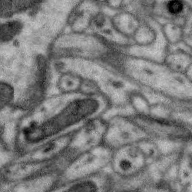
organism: Zebra finch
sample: Brain